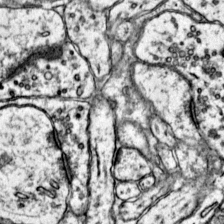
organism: Mouse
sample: Primary visual cortex